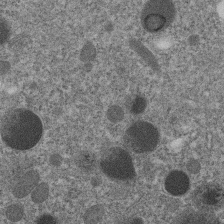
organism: C. elegans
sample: C. elegans embryo early stage